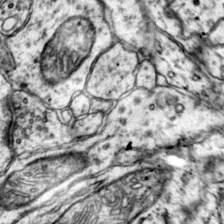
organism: Mouse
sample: Primary visual cortex